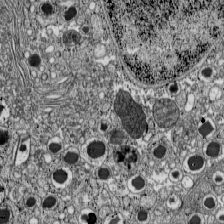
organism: C57BL Mouse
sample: Pancreatic islet